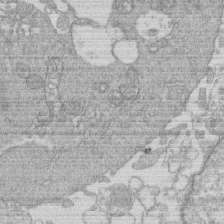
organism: Human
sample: Macrophage cells